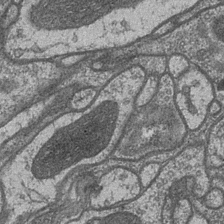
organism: Drosophila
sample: Optic medulla